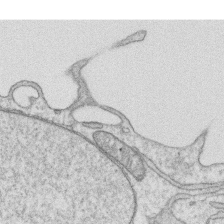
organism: Human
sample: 1205lu cells